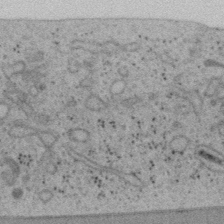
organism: Human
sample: HeLa cells